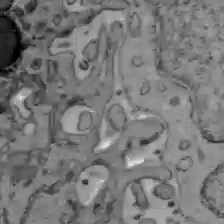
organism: C57BL Mouse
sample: Liver